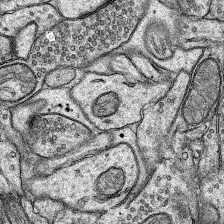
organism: Rat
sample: Hippocampus